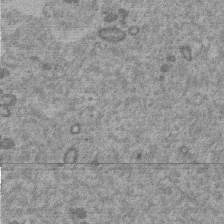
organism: Mouse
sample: Dividing mouse embryo 1 cell stage